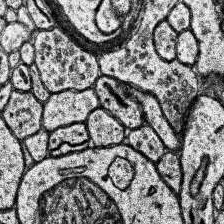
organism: Human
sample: Temporal Lobe